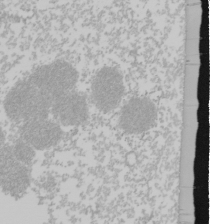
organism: Mouse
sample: Cancer cell death in ED-1 cells